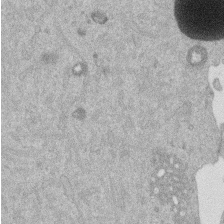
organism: Mouse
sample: Dividing mouse embryo 1 cell stage